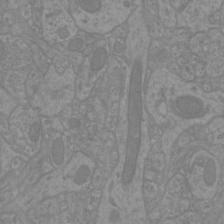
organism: Mouse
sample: Cortical neurons